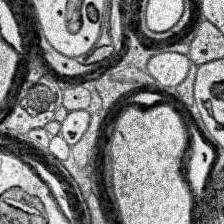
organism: Human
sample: Temporal Lobe